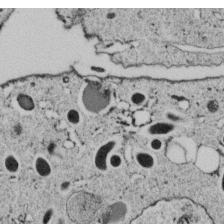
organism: C. elegans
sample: C. elegans embryo early stage